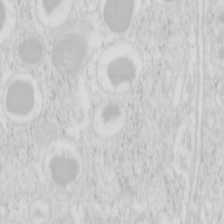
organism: Mouse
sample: Pancreas